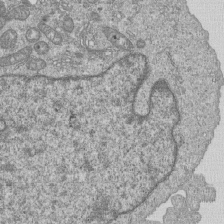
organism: Human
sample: MDA-MB-231 cells